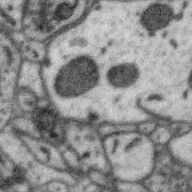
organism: Zebra finch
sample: Brain